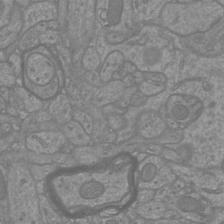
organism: Mouse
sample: Cortical neurons